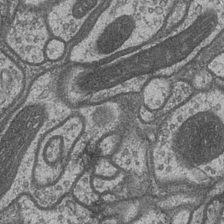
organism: Drosophila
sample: Optic medulla